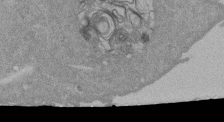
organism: Mouse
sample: ED-1 cell nuclei; centrioles